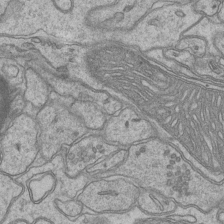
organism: Mouse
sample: CA1 Hippocampus